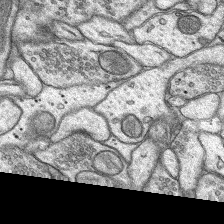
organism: Rat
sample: Hippocampus